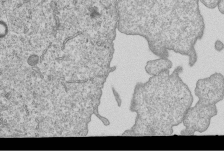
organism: Human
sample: MDA-MB-231 cells